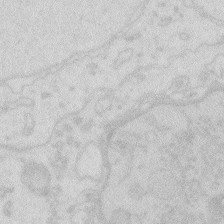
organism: Zebrafish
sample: Macrophage